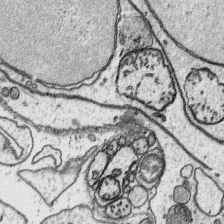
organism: Platynereis dumerilii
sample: Parapodia